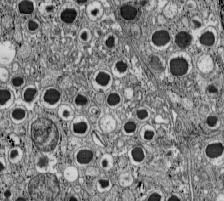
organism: C57BL Mouse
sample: Pancreatic islet